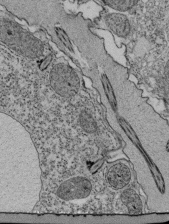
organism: Tetrahymena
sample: Cilia in tetrahymena